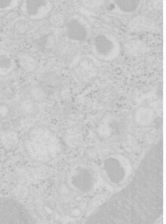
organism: Mouse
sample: Pancreas